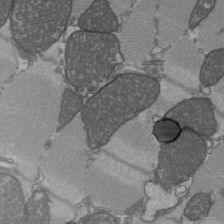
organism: C57BL Mouse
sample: Heart